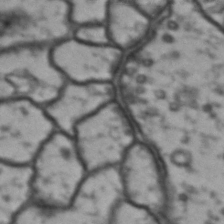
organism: Drosophila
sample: Brain